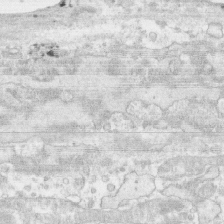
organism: Human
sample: CRL-1474